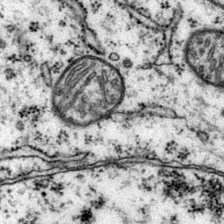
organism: Mouse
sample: Primary visual cortex